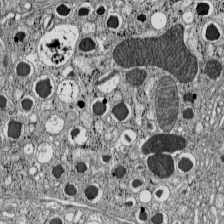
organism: C57BL Mouse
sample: Pancreatic islet